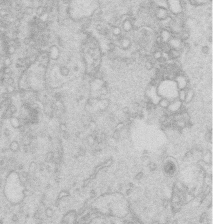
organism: Mouse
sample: Multiciliated cells